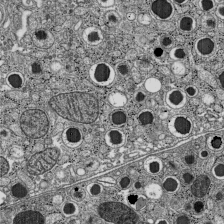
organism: C57BL Mouse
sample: Pancreatic islet